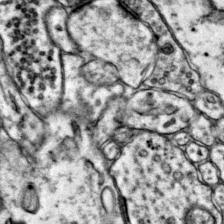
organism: Mouse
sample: Primary visual cortex